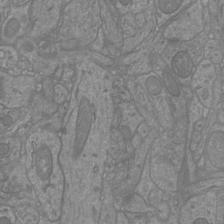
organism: Mouse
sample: Cortical neurons